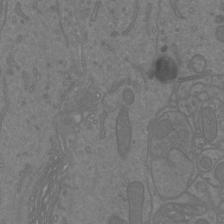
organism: Mouse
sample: Cortical neurons